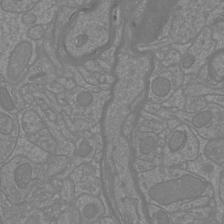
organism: Mouse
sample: Cortical neurons